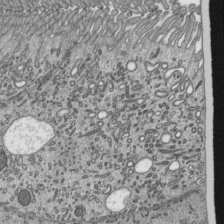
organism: Mouse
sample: Mouse epididymis efferent ductule cilia